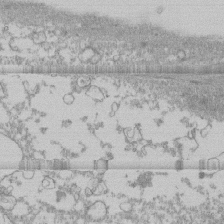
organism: Human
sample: CRL-1474